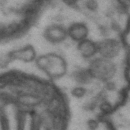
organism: Drosophila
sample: Brain